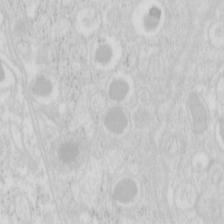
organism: Mouse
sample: Pancreas